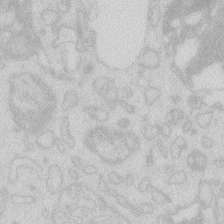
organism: Zebrafish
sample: Macrophage